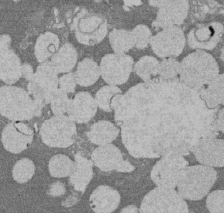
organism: Rat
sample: Salivary granule